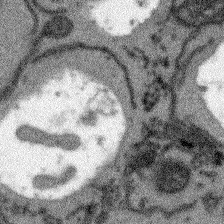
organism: Arabidopsis thaliana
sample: Root tip